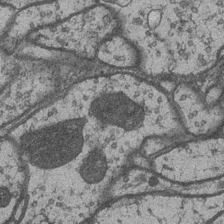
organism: Drosophila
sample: Optic medulla